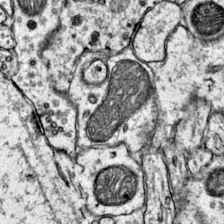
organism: Mouse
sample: Primary visual cortex